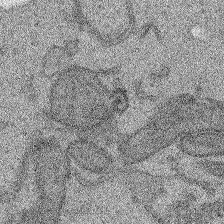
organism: Human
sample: HeLa cells